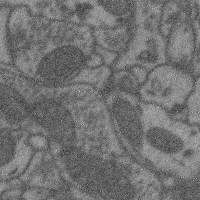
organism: Mouse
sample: Cerebral cortex